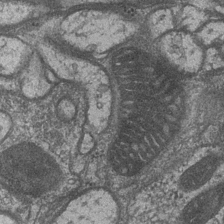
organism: Drosophila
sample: Optic medulla